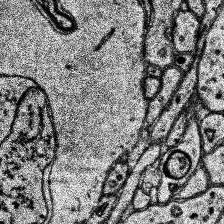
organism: Human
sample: Temporal Lobe